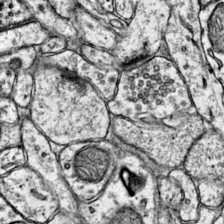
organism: Mouse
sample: Primary visual cortex